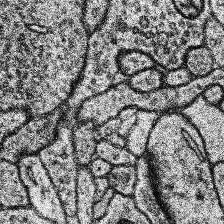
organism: Human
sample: Temporal Lobe